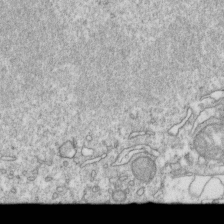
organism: Mouse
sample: Activated OT-1 CD8+ T cells